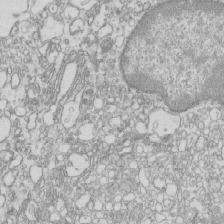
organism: Mouse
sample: Macrophages